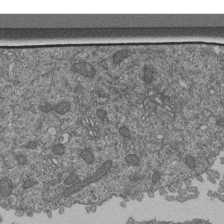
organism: Human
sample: Retinal organoid Rod and Cone cells